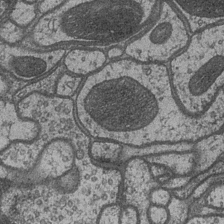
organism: Drosophila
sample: Optic medulla